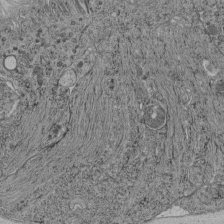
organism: C. elegans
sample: C. elegans pharynx